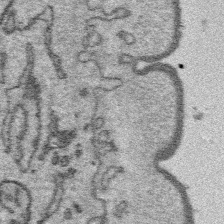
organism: Platynereis dumerilii